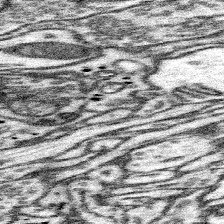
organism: Mouse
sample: Somatosensory cortex neuropil